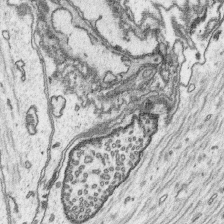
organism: Platynereis dumerilii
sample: Parapodia